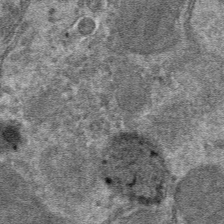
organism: Mouse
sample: Mouse hepatocytes